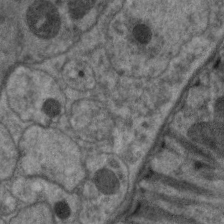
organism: C. elegans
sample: Pharynx